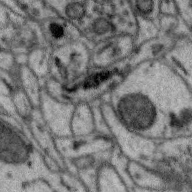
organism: Zebra finch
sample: Brain